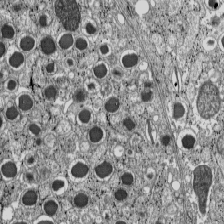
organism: C57BL Mouse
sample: Pancreatic islet